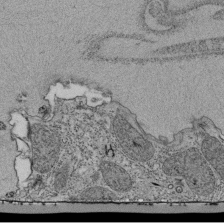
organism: Tetrahymena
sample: Cilia in tetrahymena